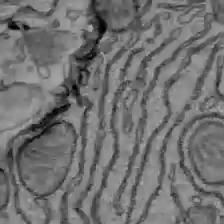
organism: C57BL Mouse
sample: Liver